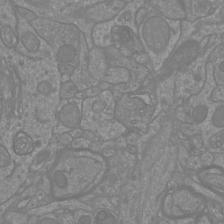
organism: Mouse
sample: Cortical neurons